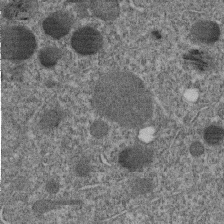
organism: C. elegans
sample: C. elegans embryo early stage